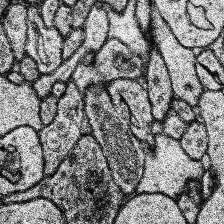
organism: Human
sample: Temporal Lobe